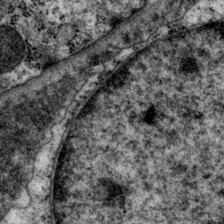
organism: P. pacificus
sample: Pharynx